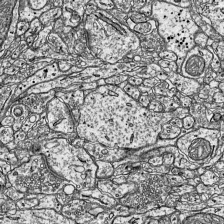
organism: Mouse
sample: Visual Cortex